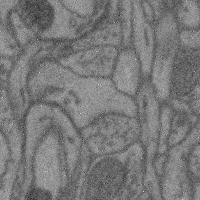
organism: Mouse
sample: Cerebral cortex